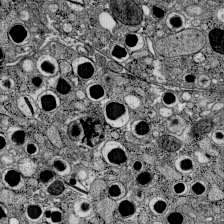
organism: C57BL Mouse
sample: Pancreatic islet